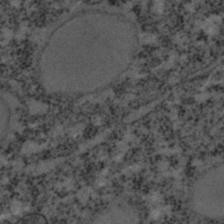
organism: C. elegans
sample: C. elegans embryo